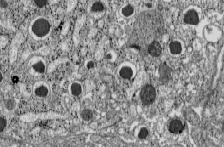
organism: C57BL Mouse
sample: Pancreatic islet